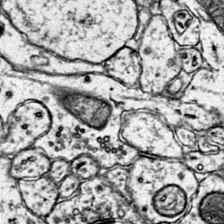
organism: Mouse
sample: Primary visual cortex